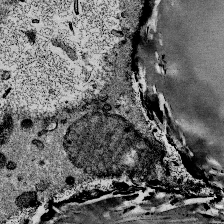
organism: Mouse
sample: Mouse Salivary gland